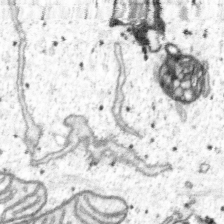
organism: Human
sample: HeLa cells